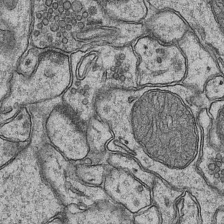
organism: Mouse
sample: CA1 Hippocampus